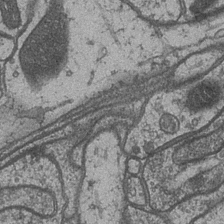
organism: Drosophila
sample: Optic medulla